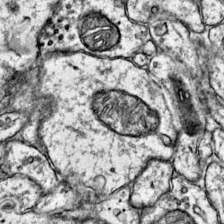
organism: Mouse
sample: Primary visual cortex